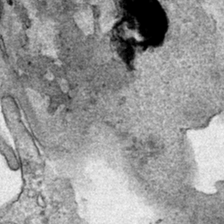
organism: Human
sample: Mitochondria in HCT116 cells